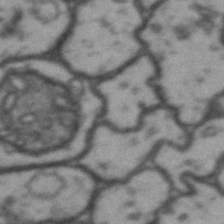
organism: Drosophila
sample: Brain